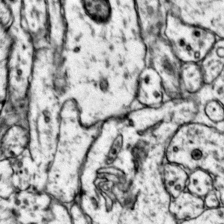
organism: Mouse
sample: Primary visual cortex